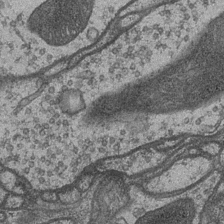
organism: Drosophila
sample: Optic medulla